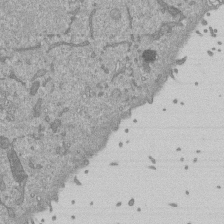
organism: Mouse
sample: ED-1 cell nuclei; centrioles